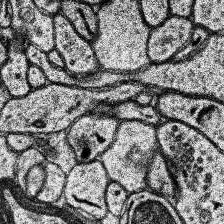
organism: Human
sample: Temporal Lobe